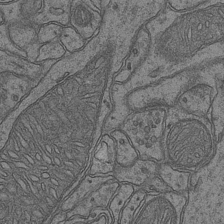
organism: Mouse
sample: CA1 Hippocampus